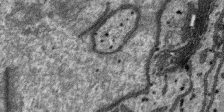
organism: Human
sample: Lung epithelial cells, uninfected (mock) control